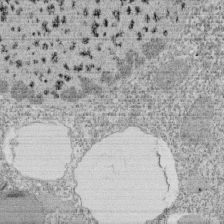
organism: Tetrahymena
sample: Cilia in tetrahymena